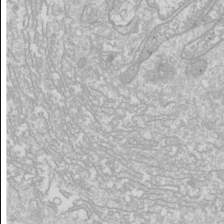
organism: Drosophila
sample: Cell division; meiosis; drosophila spermatocytes